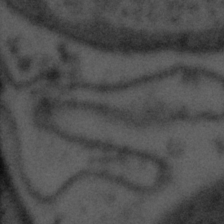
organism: Tuwongella immobilis